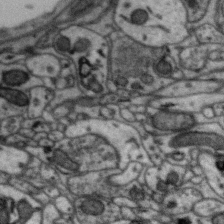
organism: Zebra finch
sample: Brain